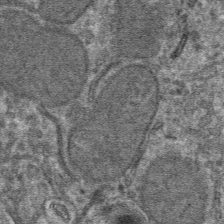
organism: Mouse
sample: Mouse hepatocytes